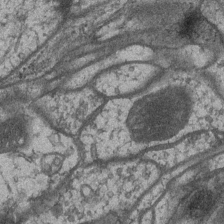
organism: Drosophila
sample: Optic medulla